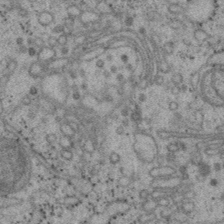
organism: Human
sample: HeLa cells